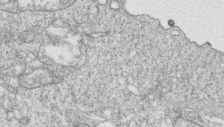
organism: Human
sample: HeLa cell HIV synapse